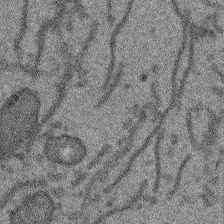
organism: Arabidopsis thaliana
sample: Root tip